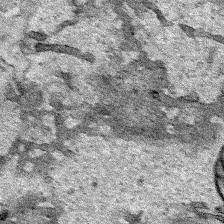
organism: Human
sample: Mitochondria in HCT116 cells